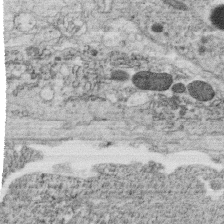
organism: C. elegans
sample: C. elegans oocyte; sperm cells